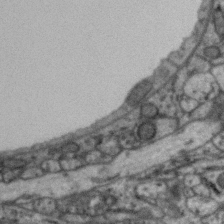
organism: Zebra finch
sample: Brain